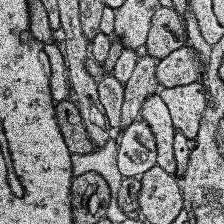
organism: Human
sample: Temporal Lobe